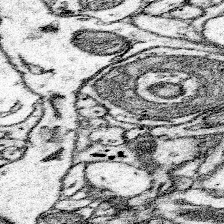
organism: Mouse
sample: Somatosensory cortex neuropil